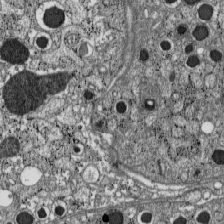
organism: C57BL Mouse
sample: Pancreatic islet